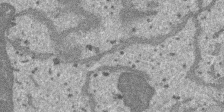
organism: Human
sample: Lung epithelial cells infected with SARS-CoV-2